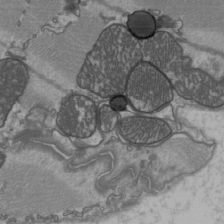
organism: C57BL Mouse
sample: Heart